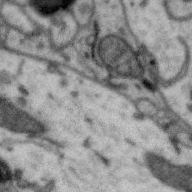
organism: Zebra finch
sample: Brain